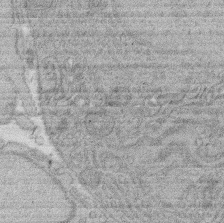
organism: Rat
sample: Salivary granule